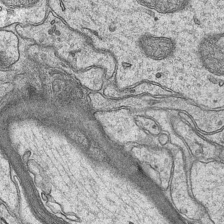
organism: Mouse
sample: CA1 Hippocampus